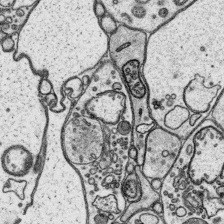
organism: Platynereis dumerilii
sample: Parapodia